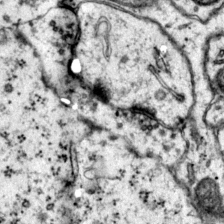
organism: Mouse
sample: Primary visual cortex